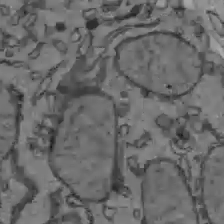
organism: C57BL Mouse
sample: Liver